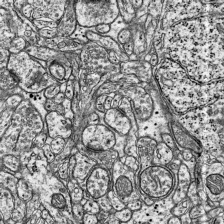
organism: Mouse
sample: Visual Cortex